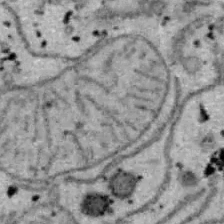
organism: Mouse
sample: Liver from an obese (ob/ob) mouse